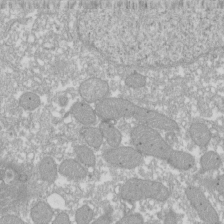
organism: Xenopus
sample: Cilia; centrioles in frog embryo cells